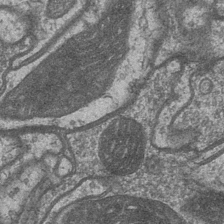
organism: Drosophila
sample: Optic medulla